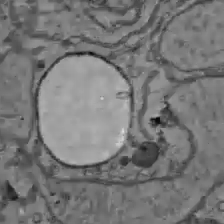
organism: C57BL Mouse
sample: Liver